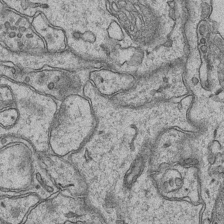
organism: Mouse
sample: CA1 Hippocampus